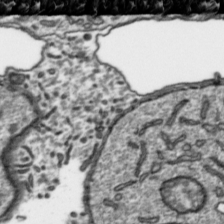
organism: Toxoplasma gondii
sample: Parasites in a vacuole inside a host cell